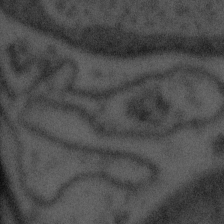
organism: Tuwongella immobilis